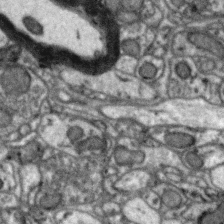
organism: Zebra finch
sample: Brain